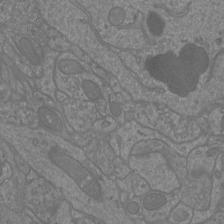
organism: Mouse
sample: Cortical neurons